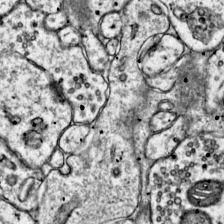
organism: Mouse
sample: Primary visual cortex